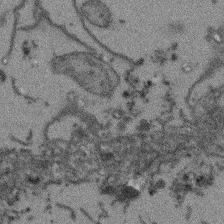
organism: Arabidopsis thaliana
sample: Root tip